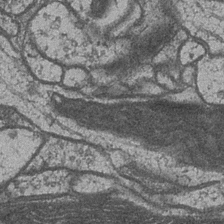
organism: Drosophila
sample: Optic medulla